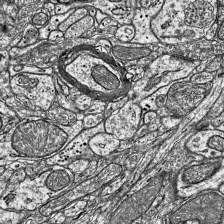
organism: Mouse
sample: Visual Cortex